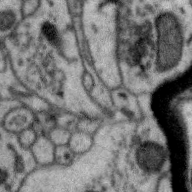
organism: Zebra finch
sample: Brain